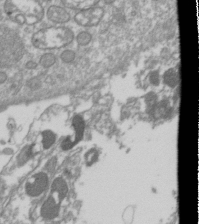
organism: Drosophila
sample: Cell division; meiosis; drosophila spermatocytes